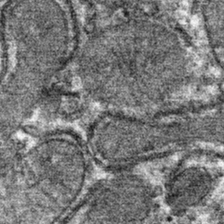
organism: Mouse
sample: Mouse hepatocytes